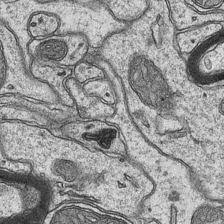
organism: Mouse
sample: CA1 Hippocampus